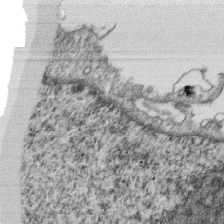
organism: African green monkey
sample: Vero E6 cells infected with SARS-CoV-2